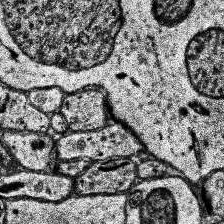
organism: Human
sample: Temporal Lobe